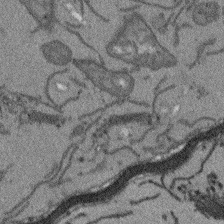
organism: Arabidopsis thaliana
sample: Root tip